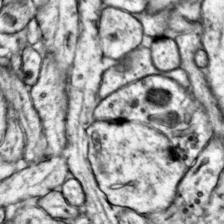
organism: Mouse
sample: Primary visual cortex